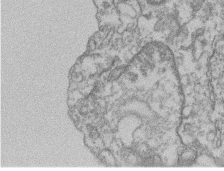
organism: Mouse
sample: T cell stromal cell synapse